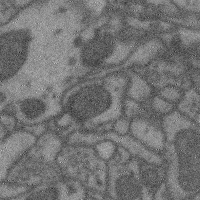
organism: Mouse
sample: Cerebral cortex